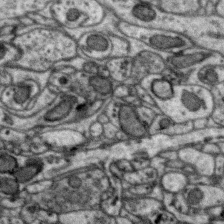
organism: Zebra finch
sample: Brain